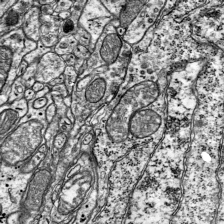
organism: Mouse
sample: Visual Cortex